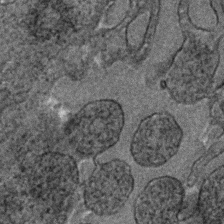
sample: Trachea